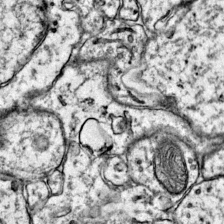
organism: Mouse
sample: Primary visual cortex